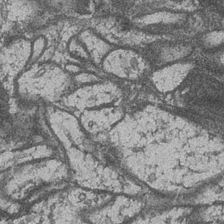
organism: Drosophila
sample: Optic medulla